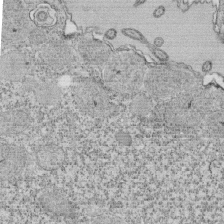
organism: Tetrahymena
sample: Cilia in tetrahymena